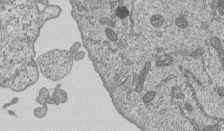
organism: Human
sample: MDA-MB-231 cells